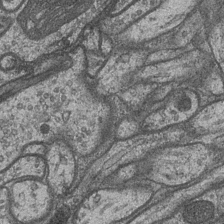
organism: Drosophila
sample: Optic medulla